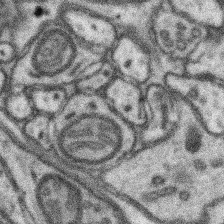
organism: Mouse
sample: Somatosensory cortex neuropil